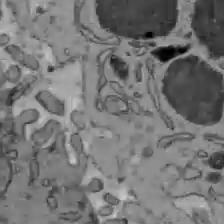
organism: C57BL Mouse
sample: Liver